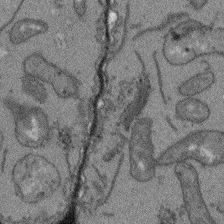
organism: Arabidopsis thaliana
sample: Root tip